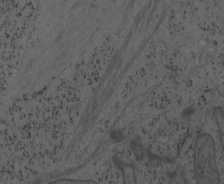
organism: Mouse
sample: OT-I killer T cells with ID8 ovarian cancer cells